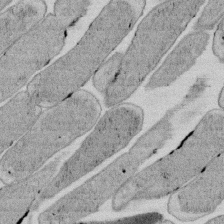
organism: E. coli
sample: Bacterial nucleoid